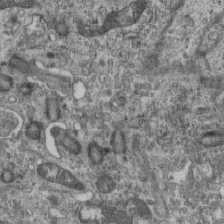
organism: Mouse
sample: Centriole in ependymal cells